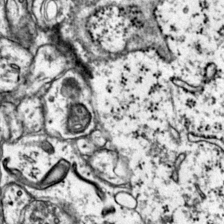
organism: Mouse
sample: Primary visual cortex